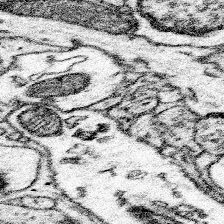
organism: Mouse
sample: Somatosensory cortex neuropil